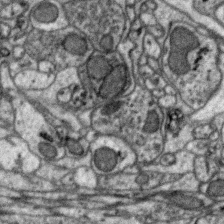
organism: Zebra finch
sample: Brain